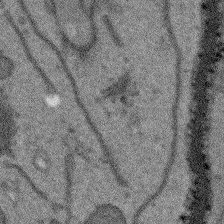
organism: Arabidopsis thaliana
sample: Root tip